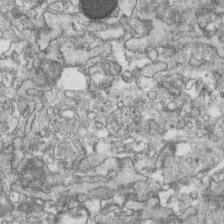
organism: Human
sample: CRL-1474